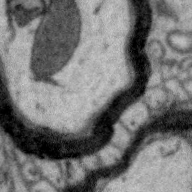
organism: Zebra finch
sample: Brain